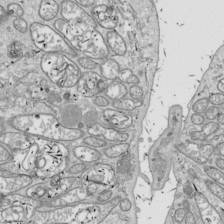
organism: Drosophila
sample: Cell division; meiosis; drosophila spermatocytes